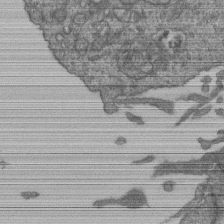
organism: Human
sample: Retinal organoid Rod and Cone cells